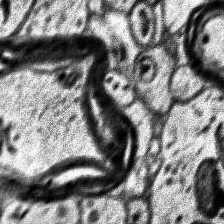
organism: Human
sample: Temporal Lobe